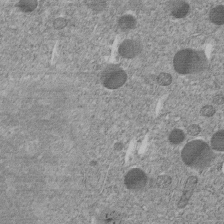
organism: C. elegans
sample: C. elegans embryo early stage